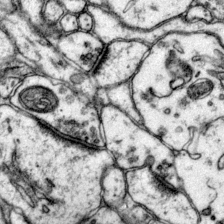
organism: Mouse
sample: Primary visual cortex